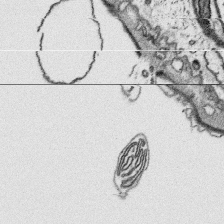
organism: Platynereis dumerilii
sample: Parapodia